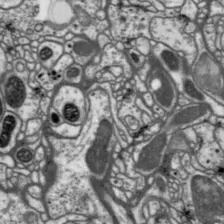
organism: Drosophila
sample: Protocerebral bridge